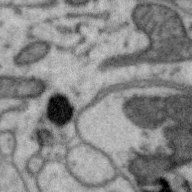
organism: Zebra finch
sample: Brain